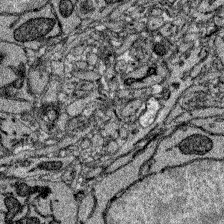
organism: Zebrafish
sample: Larval olfactory bulb